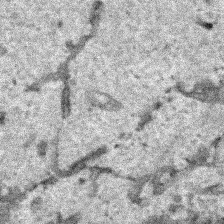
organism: Human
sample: Mitochondria in HCT116 cells